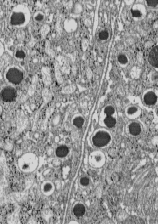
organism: C57BL Mouse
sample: Pancreatic islet